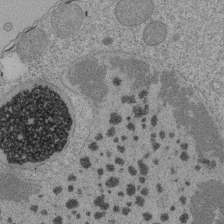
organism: Tetrahymena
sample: Cilia in tetrahymena